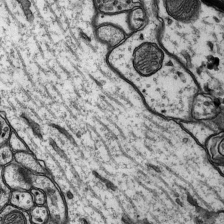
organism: Rat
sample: Hippocampus